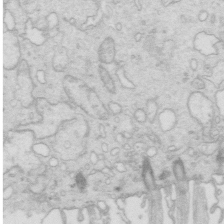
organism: Mouse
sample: Multiciliated cells